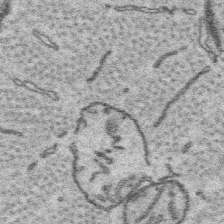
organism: Platynereis dumerilii